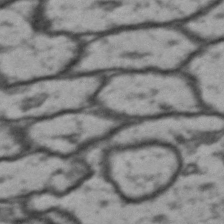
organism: Drosophila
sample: Brain